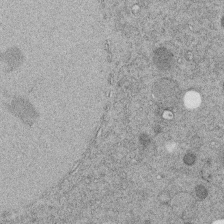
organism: C. elegans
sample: C. elegans embryo early stage